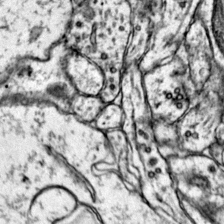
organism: Mouse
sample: Primary visual cortex